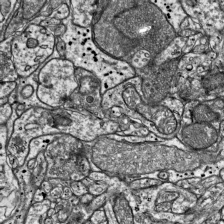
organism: Mouse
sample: Visual Cortex